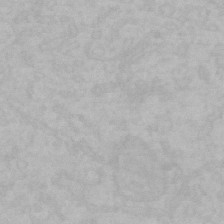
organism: Mouse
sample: Choroid plexus